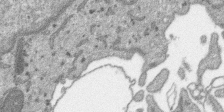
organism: Human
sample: Lung epithelial cells infected with SARS-CoV-2